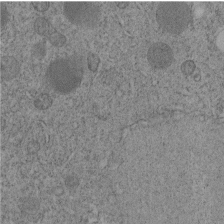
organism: C. elegans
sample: C. elegans embryo early stage